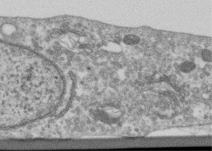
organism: Human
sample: Centriole in RPE cells